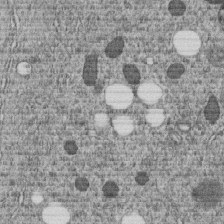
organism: C. elegans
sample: C. elegans embryo early stage